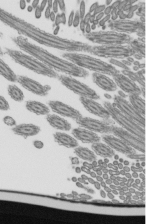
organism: Mouse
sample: Mouse epididymis efferent ductule cilia